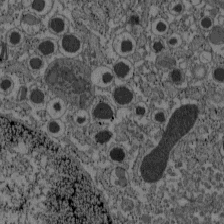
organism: C57BL Mouse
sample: Pancreatic islet